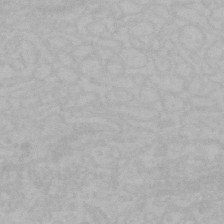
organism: Mouse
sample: Choroid plexus